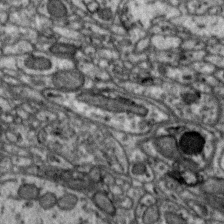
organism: Zebra finch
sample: Brain